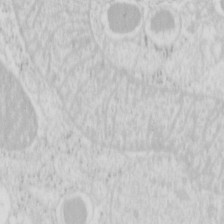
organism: Mouse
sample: Pancreas